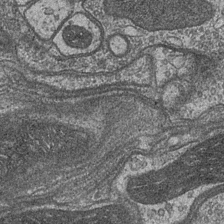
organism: Drosophila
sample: Optic medulla